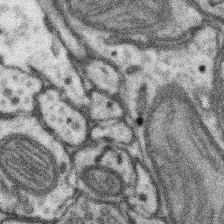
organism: Mouse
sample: Somatosensory cortex neuropil